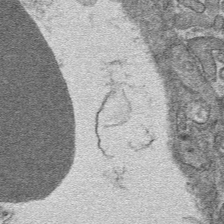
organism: Mouse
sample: Mouse hepatocytes